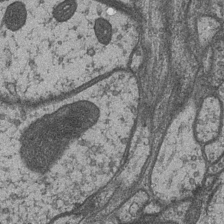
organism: Drosophila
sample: Optic medulla